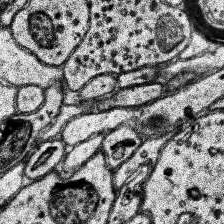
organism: Human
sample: Temporal Lobe